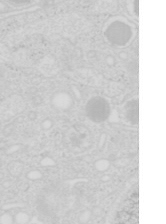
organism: Mouse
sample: Pancreas